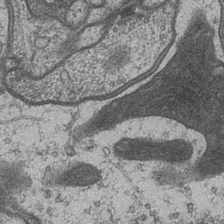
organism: Drosophila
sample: Optic medulla